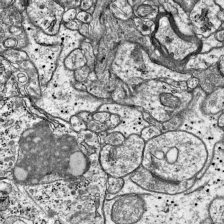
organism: Mouse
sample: Visual Cortex